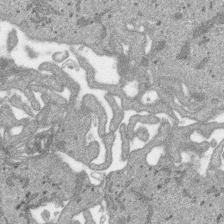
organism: Human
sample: Lung epithelial cells infected with SARS-CoV-2